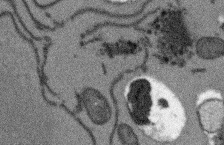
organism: Arabidopsis thaliana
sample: Root tip